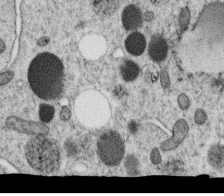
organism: C. elegans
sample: C. elegans oocyte; sperm cells